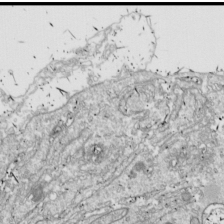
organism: Drosophila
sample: Cell division; meiosis; drosophila spermatocytes